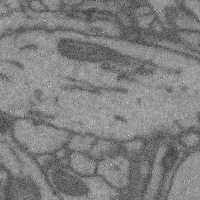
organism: Mouse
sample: Cerebral cortex